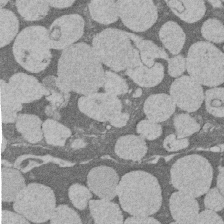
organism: Rat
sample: Salivary granule